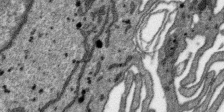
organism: Human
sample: Lung epithelial cells, uninfected (mock) control